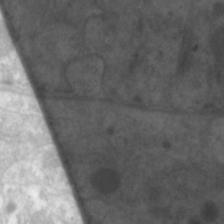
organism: C. elegans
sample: Pharynx